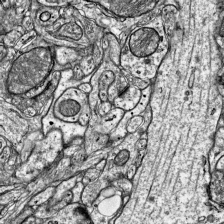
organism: Mouse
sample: Visual Cortex